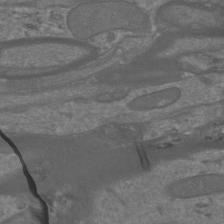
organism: Mouse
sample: Cortical neurons